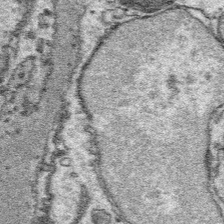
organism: Platynereis dumerilii